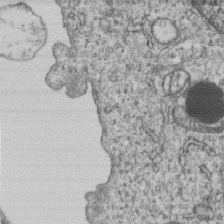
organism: Human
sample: MDA-MB-231 cells